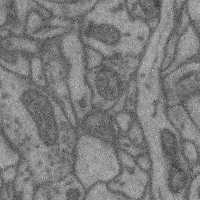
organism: Mouse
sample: Cerebral cortex